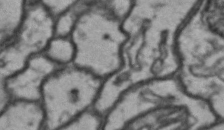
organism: Drosophila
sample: Brain